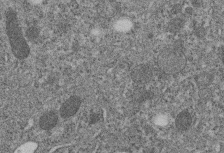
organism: C. elegans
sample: C. elegans embryo early stage